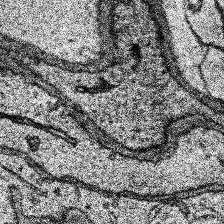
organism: Human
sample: Temporal Lobe